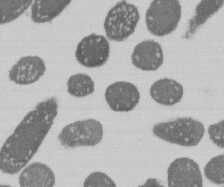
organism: E. coli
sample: Bacterial nucleoid